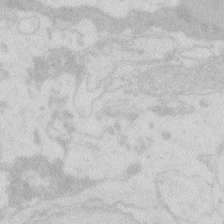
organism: Zebrafish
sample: Macrophage